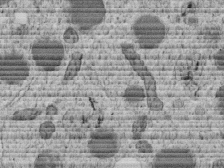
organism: C. elegans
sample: C. elegans embryo early stage